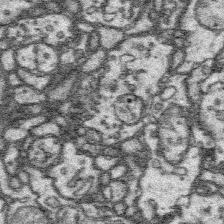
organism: Platynereis dumerilii